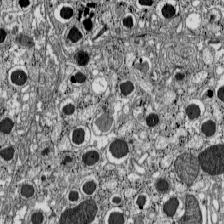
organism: C57BL Mouse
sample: Pancreatic islet